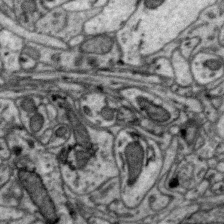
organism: Zebra finch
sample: Brain